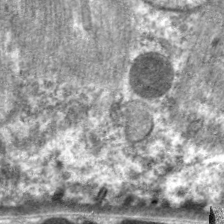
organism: C. elegans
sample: Pharynx